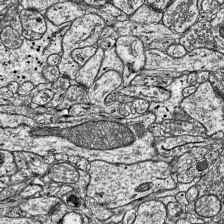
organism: Mouse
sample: Visual Cortex